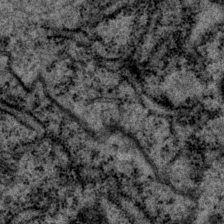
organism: P. pacificus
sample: Pharynx